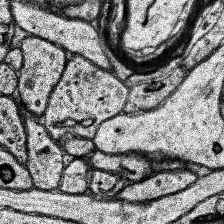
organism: Human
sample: Temporal Lobe